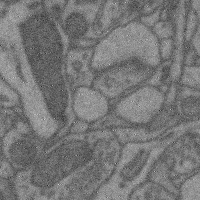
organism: Mouse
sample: Cerebral cortex